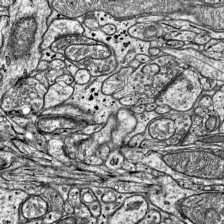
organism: Mouse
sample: Visual Cortex